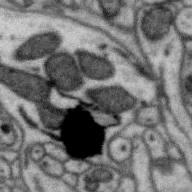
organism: Zebra finch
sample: Brain